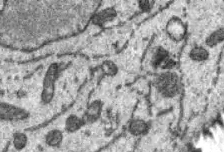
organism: Human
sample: HeLa cells